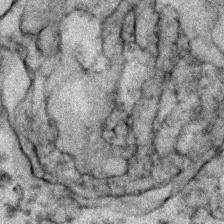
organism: Zebrafish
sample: Zebrafish embryo